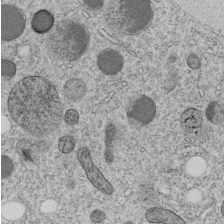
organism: C. elegans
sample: C. elegans embryo early stage